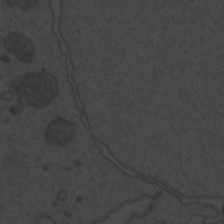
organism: Zebrafish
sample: Macrophage infected with Toxoplasma gondii